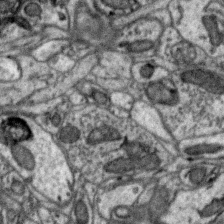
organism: Zebra finch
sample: Brain